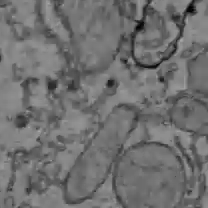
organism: C57BL Mouse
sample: Liver